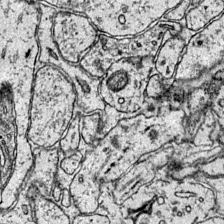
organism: Mouse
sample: Primary visual cortex